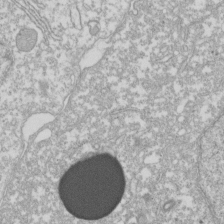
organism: Xenopus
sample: Cilia; centrioles in frog embryo cells